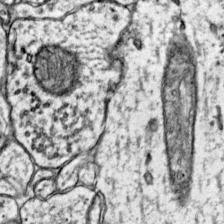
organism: Mouse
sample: Primary visual cortex